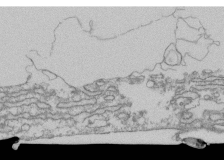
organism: Human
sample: Fibroblast cells